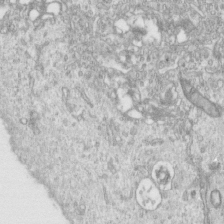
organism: Human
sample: Centriole in RPE cells